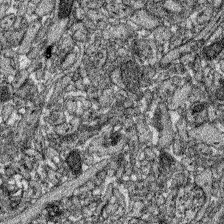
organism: Zebrafish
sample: Larval olfactory bulb